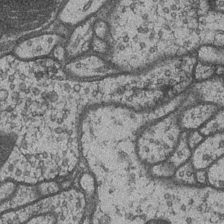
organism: Drosophila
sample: Optic medulla